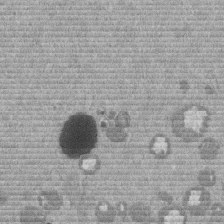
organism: Mouse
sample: Dividing mouse embryo 1 cell stage